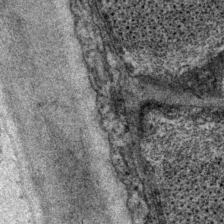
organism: P. pacificus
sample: Pharynx